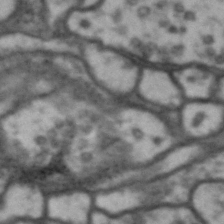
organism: Drosophila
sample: Brain